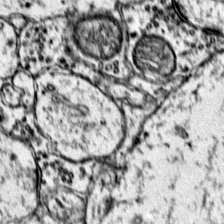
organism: Mouse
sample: Primary visual cortex